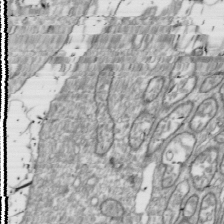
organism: Drosophila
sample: Cell division; meiosis; drosophila spermatocytes